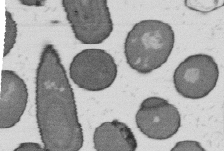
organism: B. subtilis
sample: Bacterial spore